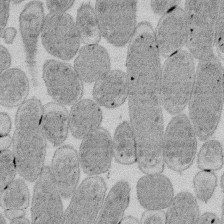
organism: E. coli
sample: Bacterial nucleoid